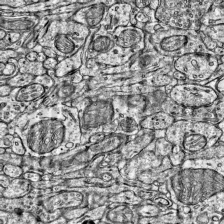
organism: Mouse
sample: Visual Cortex